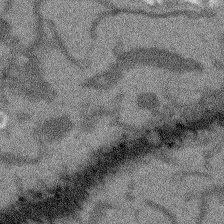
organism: Arabidopsis thaliana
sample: Root tip